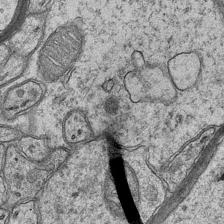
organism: Mouse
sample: CA1 Hippocampus